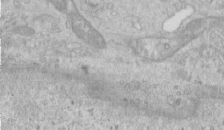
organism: Human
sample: Centriole in RPE cells